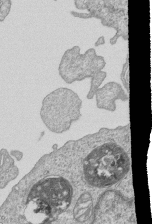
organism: Human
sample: MDA-MB-231 cells